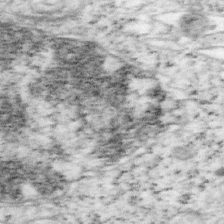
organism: Mouse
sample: OT-I killer T cells with ID8 ovarian cancer cells